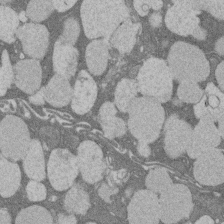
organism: Rat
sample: Salivary granule